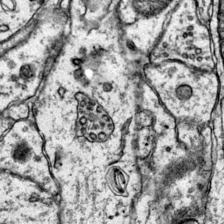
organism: Mouse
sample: Primary visual cortex